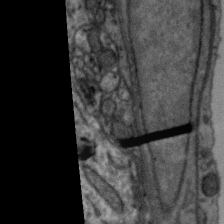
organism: Zebra finch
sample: Brain